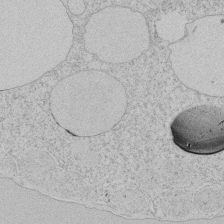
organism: Tetrahymena